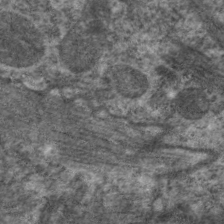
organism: C. elegans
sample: Pharynx